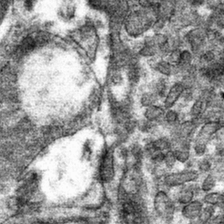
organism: Mouse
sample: Mouse hepatocytes